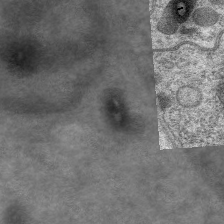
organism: C. elegans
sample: Pharynx